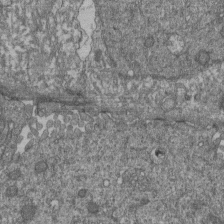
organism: Human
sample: Retinal organoid Rod and Cone cells